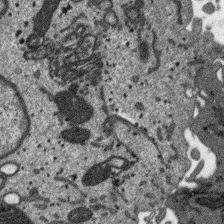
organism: Human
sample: Lung epithelial cells infected with SARS-CoV-2